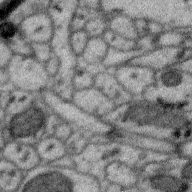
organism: Zebra finch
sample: Brain